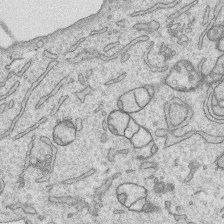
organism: Human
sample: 1205lu cells